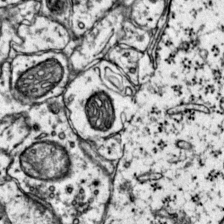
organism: Mouse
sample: Primary visual cortex